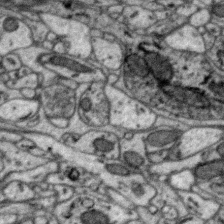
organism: Zebra finch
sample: Brain